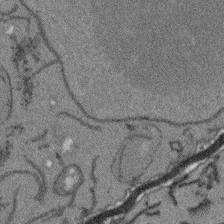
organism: Arabidopsis thaliana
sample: Root tip